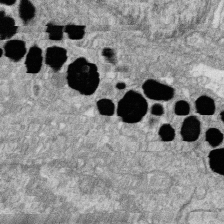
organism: Zebrafish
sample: Cilia; retinal pigment epithelium